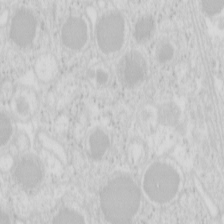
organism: Mouse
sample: Pancreas